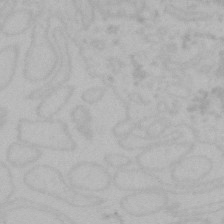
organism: Mouse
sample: Choroid plexus